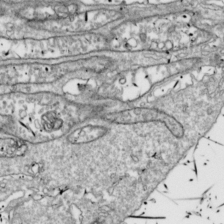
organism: Drosophila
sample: Cell division; meiosis; drosophila spermatocytes